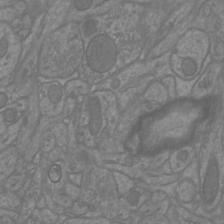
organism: Mouse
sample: Cortical neurons